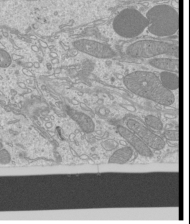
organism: Mouse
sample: Cilia; mouse epididymis